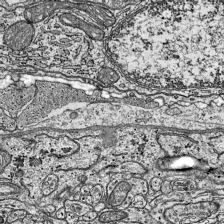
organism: Mouse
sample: Visual Cortex